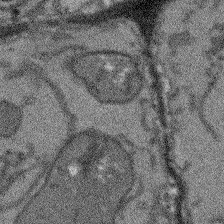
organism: Arabidopsis thaliana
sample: Root tip